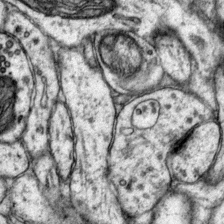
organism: Mouse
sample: Primary visual cortex